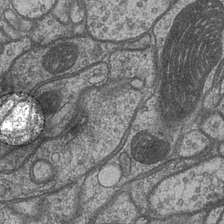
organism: Drosophila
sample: Optic medulla